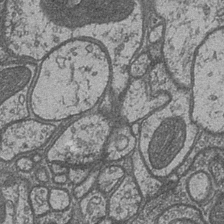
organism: Drosophila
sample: Optic medulla